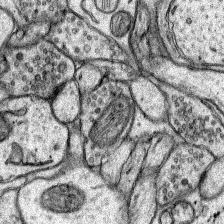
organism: Rat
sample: Hippocampus